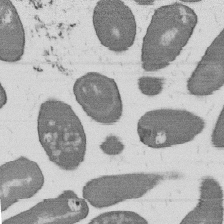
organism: B. subtilis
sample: Bacterial spore